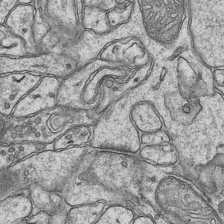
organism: Mouse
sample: CA1 Hippocampus